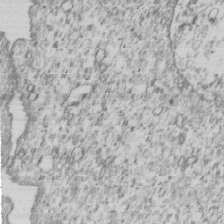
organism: Human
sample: MDA-MB-231 cells